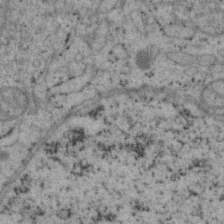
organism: Human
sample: HeLa cells